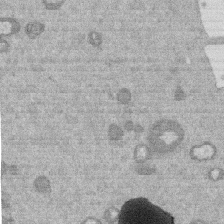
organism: Mouse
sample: Dividing mouse embryo 1 cell stage